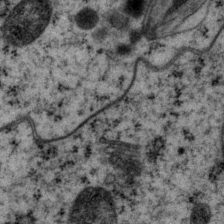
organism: P. pacificus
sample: Pharynx